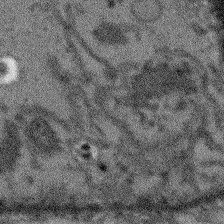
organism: Arabidopsis thaliana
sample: Root tip